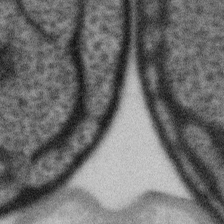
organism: Gemmata obscuriglobus